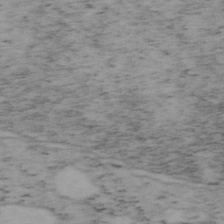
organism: Mouse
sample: OT-I killer T cells with ID8 ovarian cancer cells